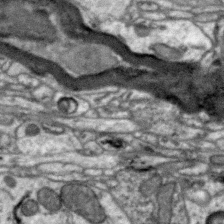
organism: Zebra finch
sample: Brain